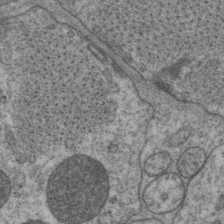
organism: P. pacificus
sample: Pharynx